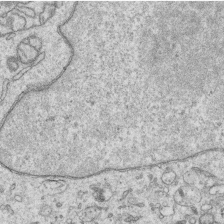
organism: Human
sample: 1205lu cells